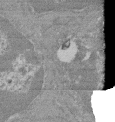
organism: Mouse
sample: Glomerulus